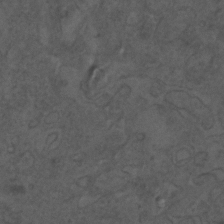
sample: Trachea